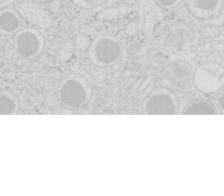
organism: Mouse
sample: Pancreas